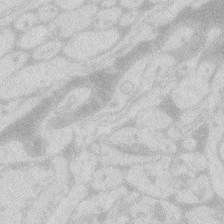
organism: Zebrafish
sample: Macrophage